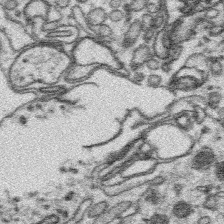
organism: Platynereis dumerilii